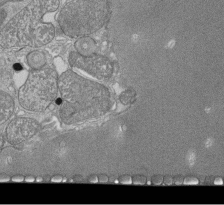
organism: Tetrahymena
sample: Cilia in tetrahymena